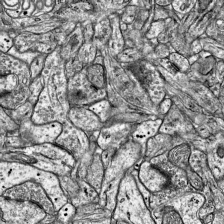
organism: Mouse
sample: Visual Cortex